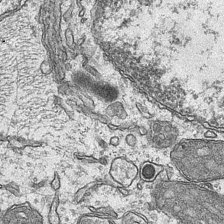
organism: Mouse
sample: CA1 Hippocampus